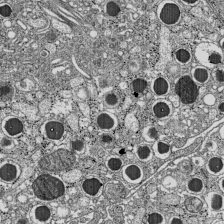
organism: C57BL Mouse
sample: Pancreatic islet